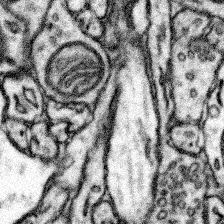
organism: Mouse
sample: Somatosensory cortex neuropil